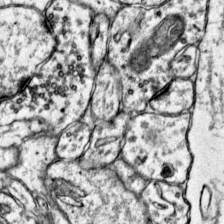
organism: Mouse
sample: Primary visual cortex